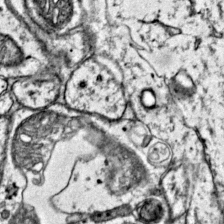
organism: Mouse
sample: Primary visual cortex